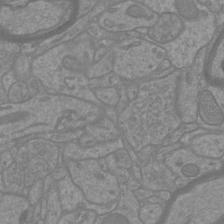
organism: Mouse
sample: Cortical neurons